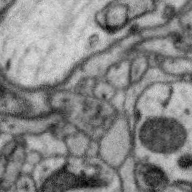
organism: Zebra finch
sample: Brain